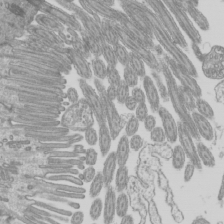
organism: Mouse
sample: Cilia; mouse epididymis